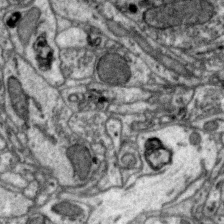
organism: Zebra finch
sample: Brain